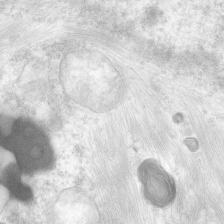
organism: Human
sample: Neocortex